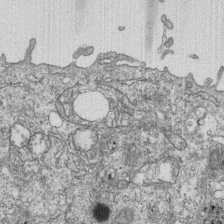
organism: Human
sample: HeLa cell HIV synapse